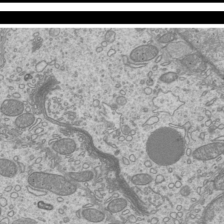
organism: Mouse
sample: Cilia; mouse epididymis